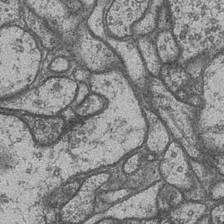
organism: Drosophila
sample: Optic medulla